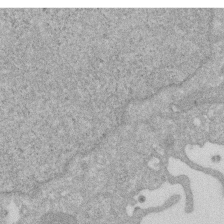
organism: Human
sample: HIV infected U937 cells